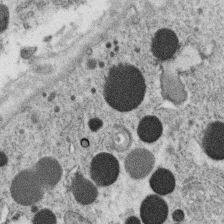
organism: C. elegans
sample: C. elegans oocyte; sperm cells